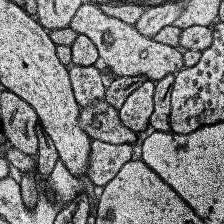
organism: Human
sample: Temporal Lobe